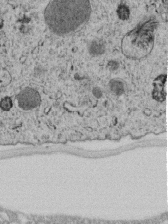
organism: C. elegans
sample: C. elegans embryo early stage